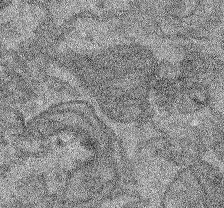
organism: Human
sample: HeLa cells